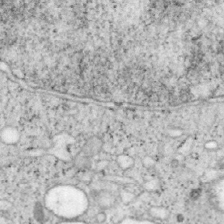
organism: Mouse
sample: OT-I killer T cells with ID8 ovarian cancer cells